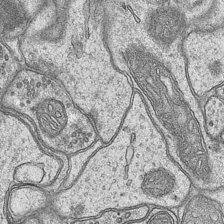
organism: Mouse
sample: CA1 Hippocampus